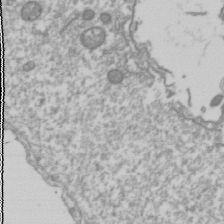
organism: Drosophila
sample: Cell division; meiosis; drosophila spermatocytes